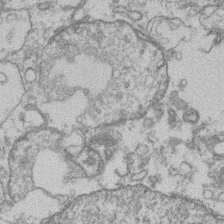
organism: Mouse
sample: T cell stromal cell synapse